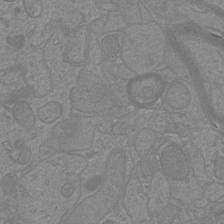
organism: Mouse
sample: Cortical neurons